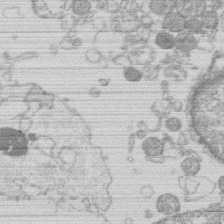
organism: Human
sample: Macrophage cells